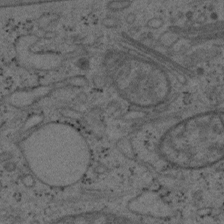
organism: Human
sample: HeLa cells